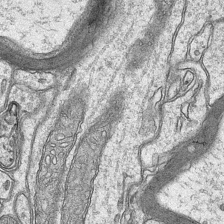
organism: Mouse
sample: CA1 Hippocampus